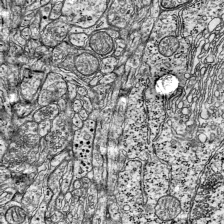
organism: Mouse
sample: Visual Cortex